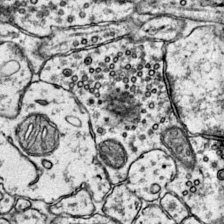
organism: Mouse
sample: Primary visual cortex